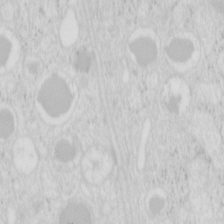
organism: Mouse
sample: Pancreas